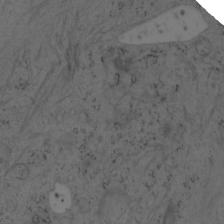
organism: Mouse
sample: OT-I killer T cells with ID8 ovarian cancer cells